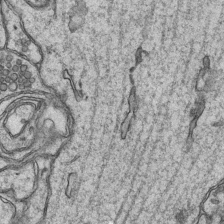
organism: Mouse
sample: CA1 Hippocampus